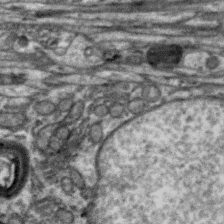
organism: Zebra finch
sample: Brain